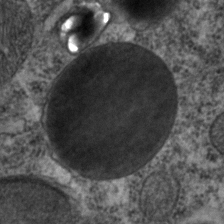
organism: C. elegans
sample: C. elegans embryo